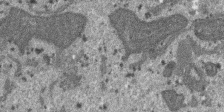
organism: Human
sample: Lung epithelial cells infected with SARS-CoV-2